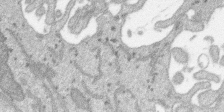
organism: Human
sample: Lung epithelial cells infected with SARS-CoV-2